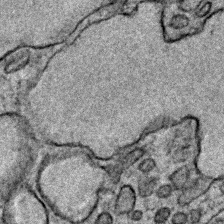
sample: Trachea